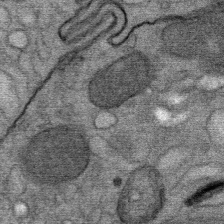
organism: Mouse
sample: Mouse Salivary gland